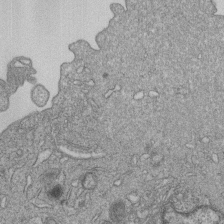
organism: Human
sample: MDA-MB-231 cells